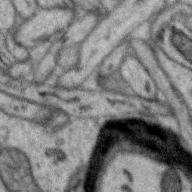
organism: Zebra finch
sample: Brain